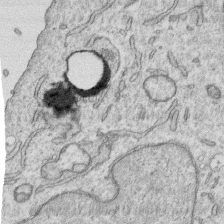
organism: Human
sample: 1205lu cells